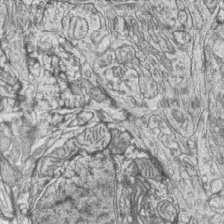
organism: Zebrafish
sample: synaptic ribbons in rod cells and cone cells